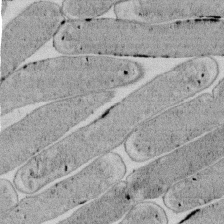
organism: E. coli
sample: Bacterial nucleoid